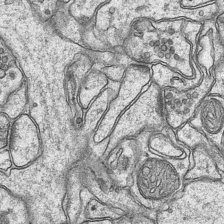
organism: Mouse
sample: CA1 Hippocampus